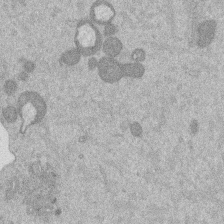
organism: Mouse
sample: Dividing mouse embryo 1 cell stage